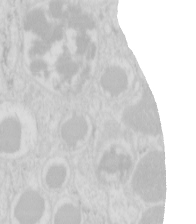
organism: Mouse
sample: Pancreas